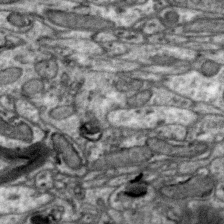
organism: Zebra finch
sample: Brain